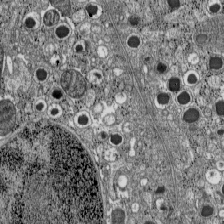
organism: C57BL Mouse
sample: Pancreatic islet